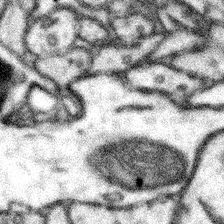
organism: Mouse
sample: Somatosensory cortex neuropil